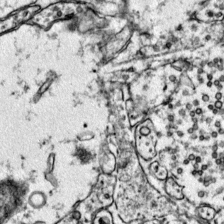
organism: Mouse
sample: Primary visual cortex